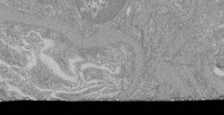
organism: Mouse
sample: Glomerulus